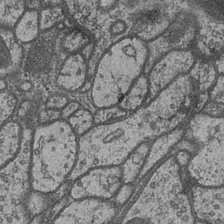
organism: Drosophila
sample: Optic medulla